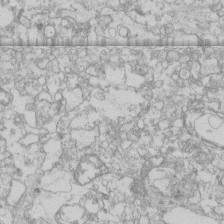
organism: Human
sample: CRL-1474